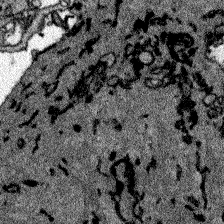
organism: Zebrafish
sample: Larval olfactory bulb